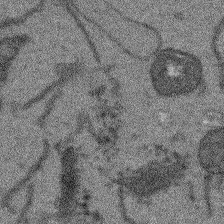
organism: Arabidopsis thaliana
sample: Root tip